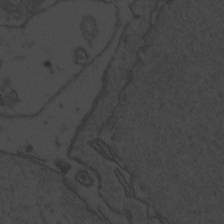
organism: Zebrafish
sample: Macrophage infected with Toxoplasma gondii